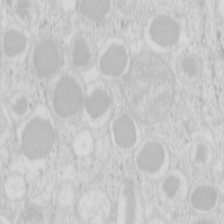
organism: Mouse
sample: Pancreas